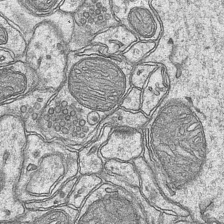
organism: Mouse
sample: CA1 Hippocampus